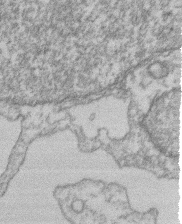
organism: Mouse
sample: T cell stromal cell synapse